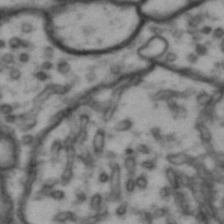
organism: Drosophila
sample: Brain